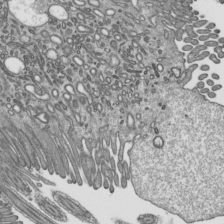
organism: Mouse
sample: Mouse epididymis efferent ductule cilia